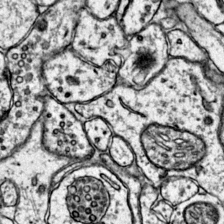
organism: Mouse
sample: Primary visual cortex